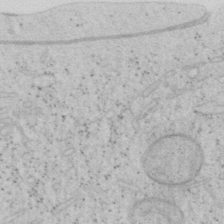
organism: Human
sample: HeLa cells